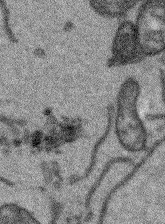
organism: Arabidopsis thaliana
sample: Root tip